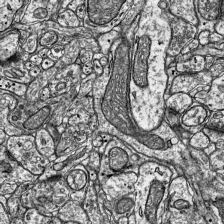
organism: Mouse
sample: Visual Cortex